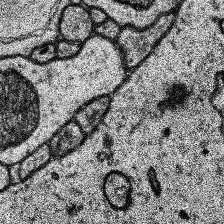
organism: Human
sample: Temporal Lobe